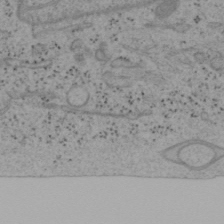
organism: Human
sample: HeLa cells